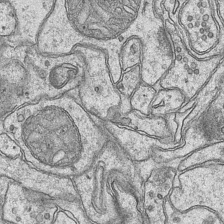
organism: Mouse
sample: CA1 Hippocampus